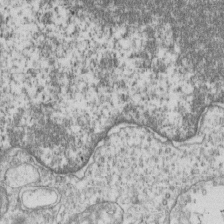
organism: Human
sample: MDA-MB-231 cells